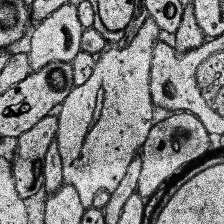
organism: Human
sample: Temporal Lobe